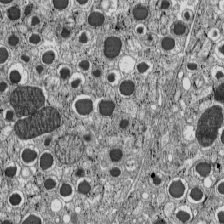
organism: C57BL Mouse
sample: Pancreatic islet